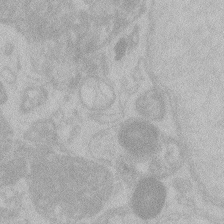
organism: Zebrafish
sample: Macrophage infected with Toxoplasma gondii